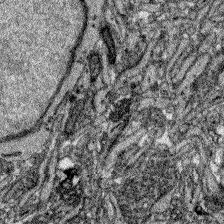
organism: Zebrafish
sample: Larval olfactory bulb